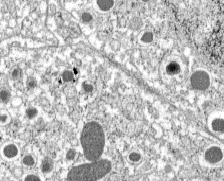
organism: C57BL Mouse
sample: Pancreatic islet